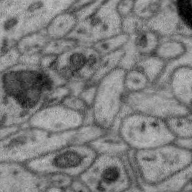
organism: Zebra finch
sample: Brain